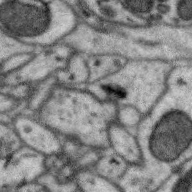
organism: Zebra finch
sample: Brain